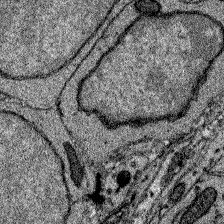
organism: Zebrafish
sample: Larval olfactory bulb